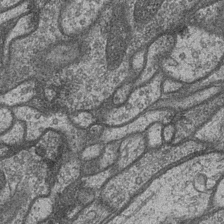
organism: Drosophila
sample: Optic medulla